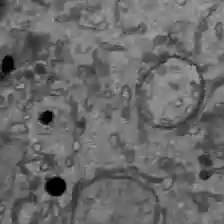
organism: C57BL Mouse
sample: Liver